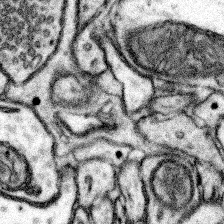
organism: Mouse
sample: Somatosensory cortex neuropil